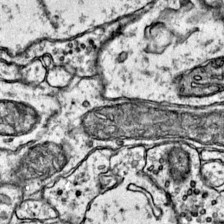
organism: Mouse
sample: Primary visual cortex